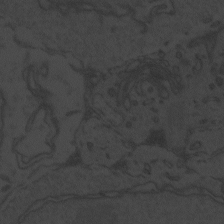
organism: Zebrafish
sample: Macrophage infected with Toxoplasma gondii